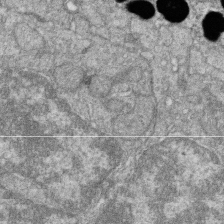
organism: Zebrafish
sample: Cilia; retinal pigment epithelium